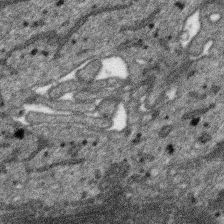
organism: Human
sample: Lung epithelial cells infected with SARS-CoV-2